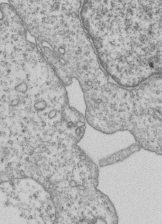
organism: Human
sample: MDA-MB-231 cells